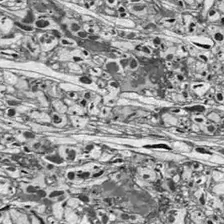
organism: Drosophila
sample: Optic lobe